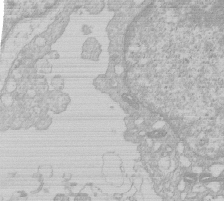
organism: Human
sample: Macrophage cells